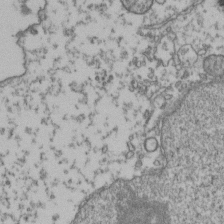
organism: Human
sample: Activated Jurkat CD4+ T cells